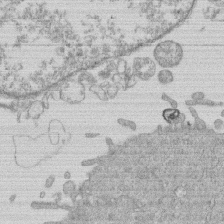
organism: Human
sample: Macrophage cells